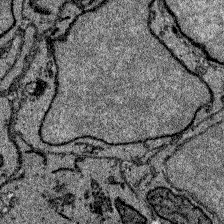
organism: Zebrafish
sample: Larval olfactory bulb